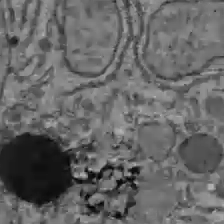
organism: C57BL Mouse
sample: Liver